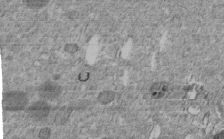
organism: C. elegans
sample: C. elegans embryo early stage